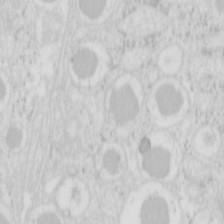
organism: Mouse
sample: Pancreas